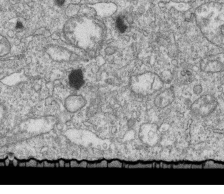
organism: Human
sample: HeLa cell HIV synapse